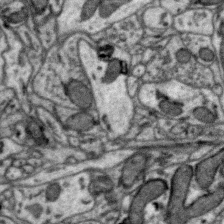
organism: Zebra finch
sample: Brain